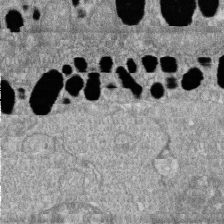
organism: Zebrafish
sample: Cilia; retinal pigment epithelium